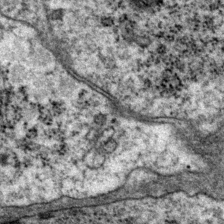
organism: P. pacificus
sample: Pharynx